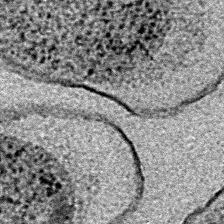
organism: E. coli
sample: E. Coli Bacteria